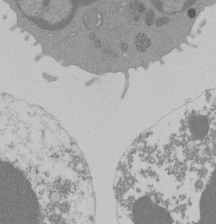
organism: Mouse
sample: Activated Pmel transgenic CD8+ T Cells